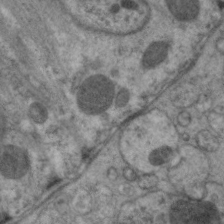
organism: C. elegans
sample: Pharynx